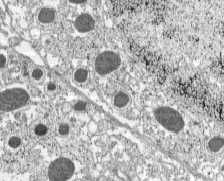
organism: C57BL Mouse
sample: Pancreatic islet